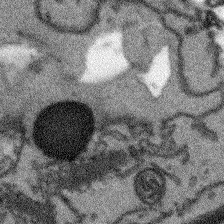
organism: Arabidopsis thaliana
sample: Root tip